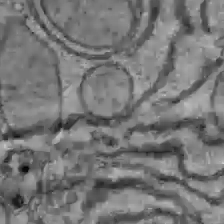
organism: C57BL Mouse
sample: Liver